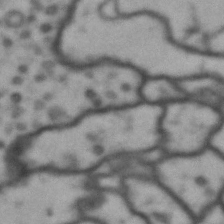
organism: Drosophila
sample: Brain